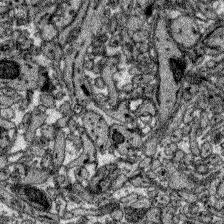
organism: Zebrafish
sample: Larval olfactory bulb